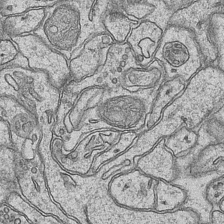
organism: Mouse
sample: CA1 Hippocampus